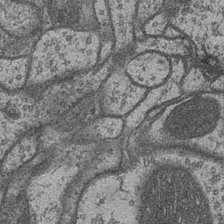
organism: Drosophila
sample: Optic medulla